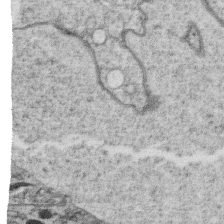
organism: C. elegans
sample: C. elegans oocyte; sperm cells